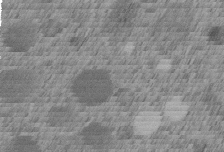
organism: C. elegans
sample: C. elegans embryo early stage